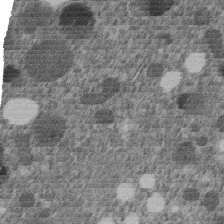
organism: C. elegans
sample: C. elegans embryo early stage